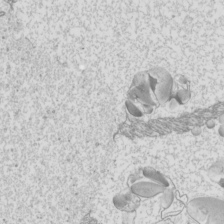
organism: Mouse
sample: Cilia; mouse epididymis